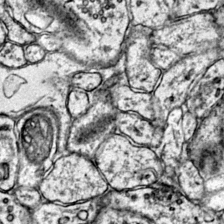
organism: Mouse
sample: Primary visual cortex